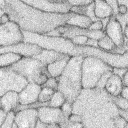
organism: Rabbit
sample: Retina